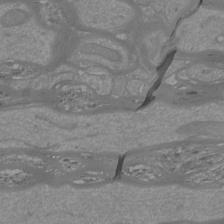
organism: Mouse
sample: Cortical neurons